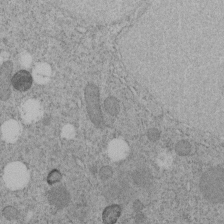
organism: C. elegans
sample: C. elegans embryo early stage